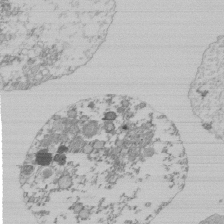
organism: Mouse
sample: Activated Pmel transgenic CD8+ T Cells